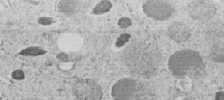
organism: C. elegans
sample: C. elegans embryo early stage